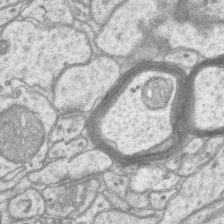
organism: Mouse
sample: CA1 Hippocampus